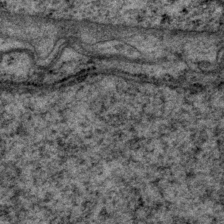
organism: P. pacificus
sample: Pharynx